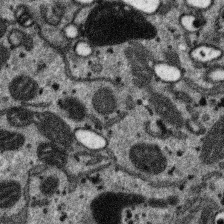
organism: Human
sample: Lung epithelial cells infected with SARS-CoV-2